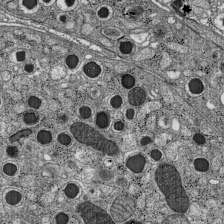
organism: C57BL Mouse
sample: Pancreatic islet